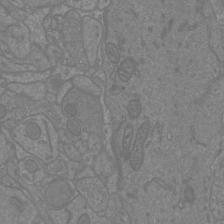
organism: Mouse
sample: Cortical neurons